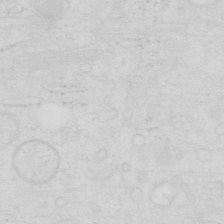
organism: Human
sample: SUM-159 cell